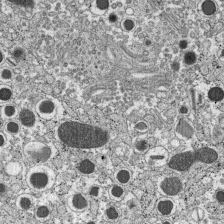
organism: C57BL Mouse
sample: Pancreatic islet